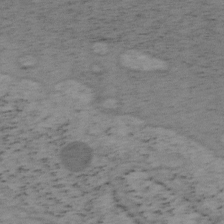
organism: Mouse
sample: OT-I killer T cells with ID8 ovarian cancer cells